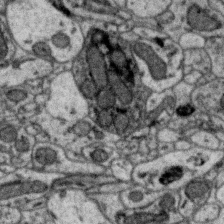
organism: Zebra finch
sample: Brain